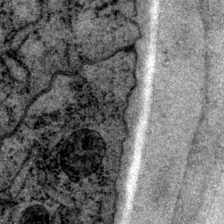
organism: P. pacificus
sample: Pharynx